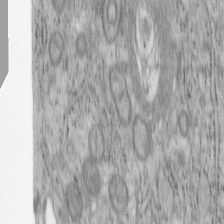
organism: Human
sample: HeLa cells